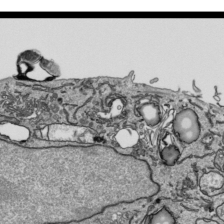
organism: Human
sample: Mitochondria in HCT116 cells